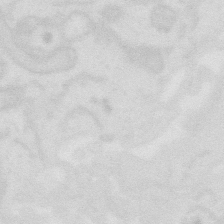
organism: Human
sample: HeLa cells